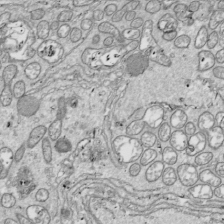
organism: Drosophila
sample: Cell division; meiosis; drosophila spermatocytes